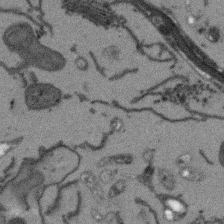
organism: Arabidopsis thaliana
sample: Root tip